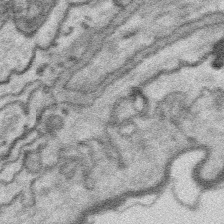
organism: Platynereis dumerilii